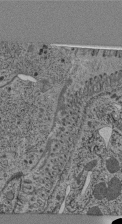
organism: C. elegans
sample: C. elegans pharynx